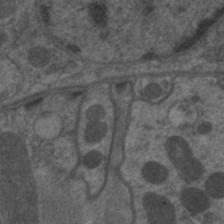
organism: C. elegans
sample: Pharynx